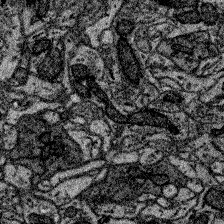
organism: Zebrafish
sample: Larval olfactory bulb